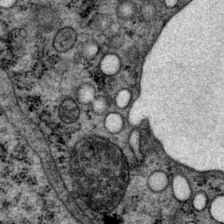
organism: P. pacificus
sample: Pharynx